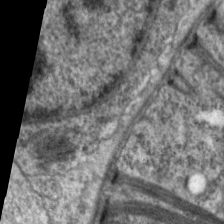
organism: C. elegans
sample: Pharynx